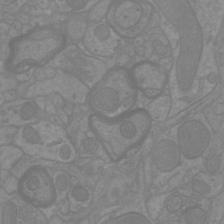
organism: Mouse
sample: Cortical neurons